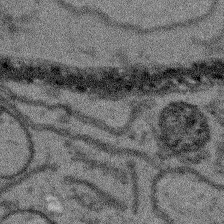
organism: Arabidopsis thaliana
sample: Root tip